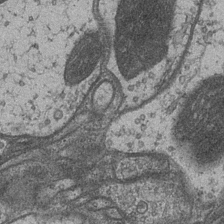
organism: Drosophila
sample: Optic medulla